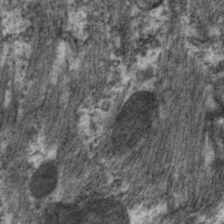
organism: C. elegans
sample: Pharynx